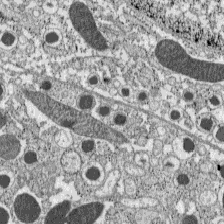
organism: C57BL Mouse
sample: Pancreatic islet